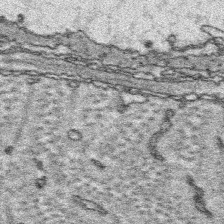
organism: Platynereis dumerilii